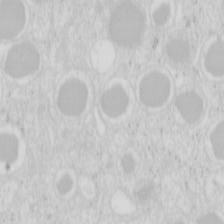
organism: Mouse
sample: Pancreas